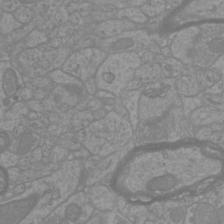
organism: Mouse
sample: Cortical neurons